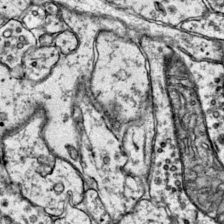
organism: Mouse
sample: Primary visual cortex